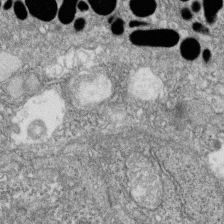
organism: Zebrafish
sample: Cilia; retinal pigment epithelium